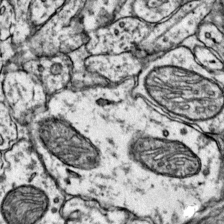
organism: Mouse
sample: Primary visual cortex